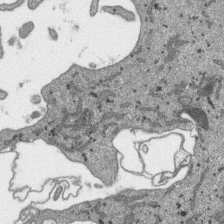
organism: Human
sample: Lung epithelial cells infected with SARS-CoV-2